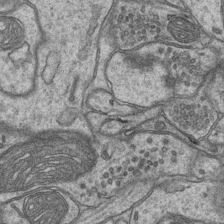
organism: Mouse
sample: CA1 Hippocampus